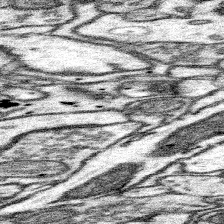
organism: Mouse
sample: Somatosensory cortex neuropil